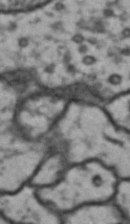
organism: Drosophila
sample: Brain